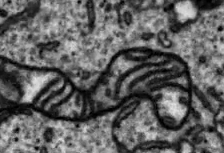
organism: Human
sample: HeLa cells